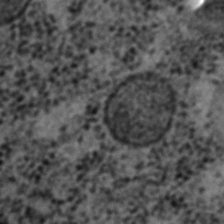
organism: C. elegans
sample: C. elegans embryo